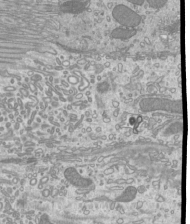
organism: Mouse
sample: Cilia; mouse epididymis